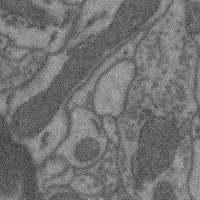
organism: Mouse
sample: Cerebral cortex